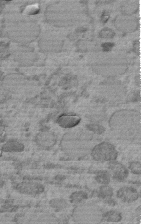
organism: C. elegans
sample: C. elegans embryo early stage